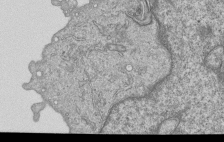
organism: Human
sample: MDA-MB-231 cells